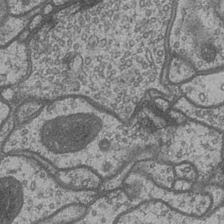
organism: Drosophila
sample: Optic medulla